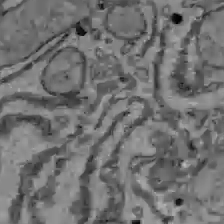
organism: C57BL Mouse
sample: Liver